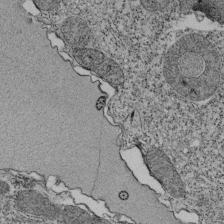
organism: Tetrahymena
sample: Cilia in tetrahymena